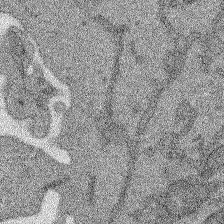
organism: Human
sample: HeLa cells